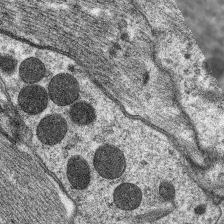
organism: C. elegans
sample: Pharynx